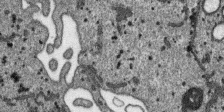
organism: Human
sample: Lung epithelial cells infected with SARS-CoV-2